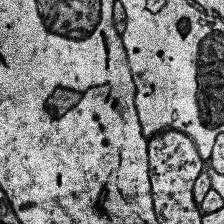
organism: Human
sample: Temporal Lobe